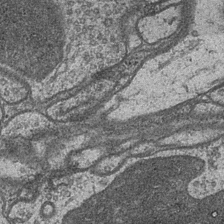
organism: Drosophila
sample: Optic medulla